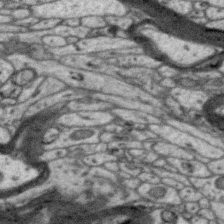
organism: Zebra finch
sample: Brain